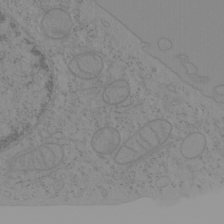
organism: Human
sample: HeLa cells